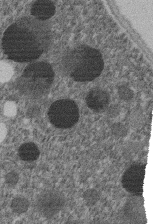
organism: C. elegans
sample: C. elegans embryo early stage